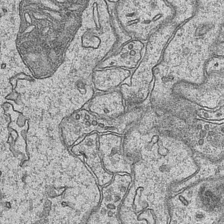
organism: Mouse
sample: CA1 Hippocampus